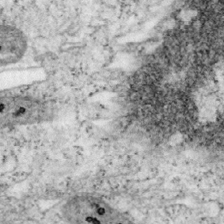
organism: Mouse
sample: OT-I killer T cells with ID8 ovarian cancer cells